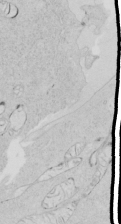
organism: Human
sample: Mitochondria in HCT116 cells